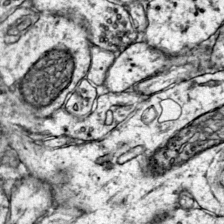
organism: Mouse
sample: Primary visual cortex